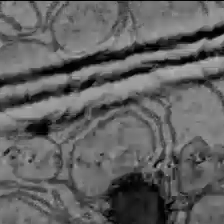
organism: C57BL Mouse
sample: Liver